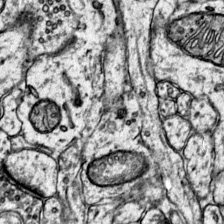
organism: Mouse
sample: Primary visual cortex